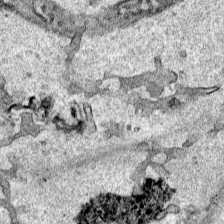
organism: Human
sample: Mitochondria in HCT116 cells